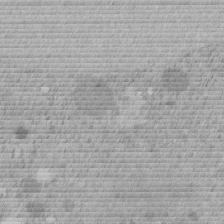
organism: C. elegans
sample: C. elegans embryo early stage